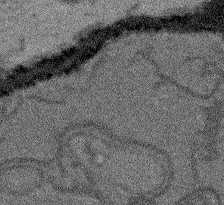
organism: Arabidopsis thaliana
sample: Root tip